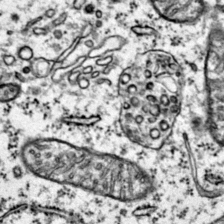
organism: Mouse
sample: Primary visual cortex